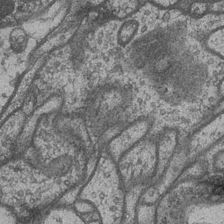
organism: Drosophila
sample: Optic medulla